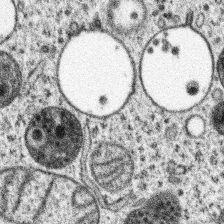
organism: Human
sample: HeLa cells